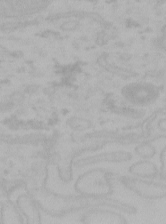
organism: Mouse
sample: Choroid plexus